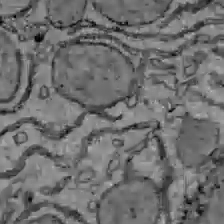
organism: C57BL Mouse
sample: Liver